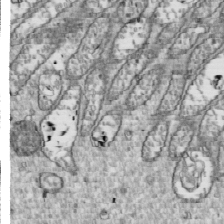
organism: Drosophila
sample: Cell division; meiosis; drosophila spermatocytes